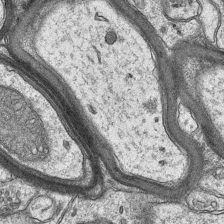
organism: Mouse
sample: CA1 Hippocampus